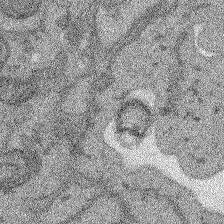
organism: Human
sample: HeLa cells